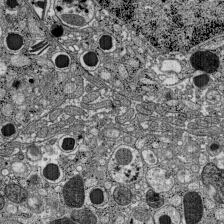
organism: C57BL Mouse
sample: Pancreatic islet